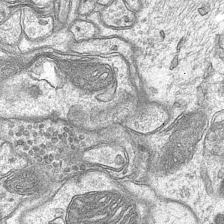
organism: Mouse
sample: CA1 Hippocampus